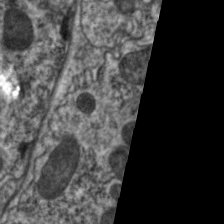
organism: C. elegans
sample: Pharynx